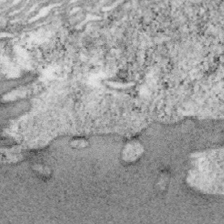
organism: Mouse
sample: OT-I killer T cells with ID8 ovarian cancer cells